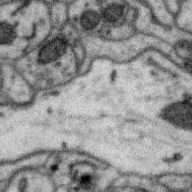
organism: Zebra finch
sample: Brain